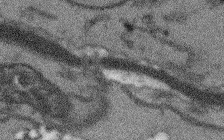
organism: Arabidopsis thaliana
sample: Root tip